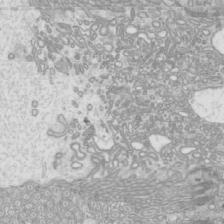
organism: Mouse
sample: Cilia; mouse epididymis